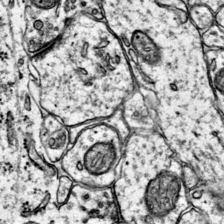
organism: Mouse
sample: Primary visual cortex